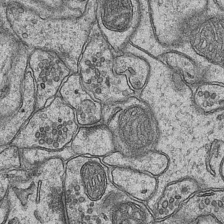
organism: Mouse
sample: CA1 Hippocampus